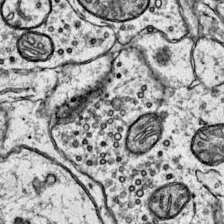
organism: Mouse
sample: Primary visual cortex